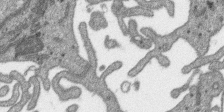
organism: Human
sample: Lung epithelial cells infected with SARS-CoV-2